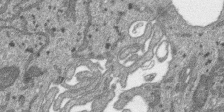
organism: Human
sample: Lung epithelial cells infected with SARS-CoV-2